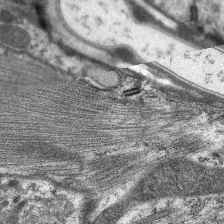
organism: C. elegans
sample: Pharynx